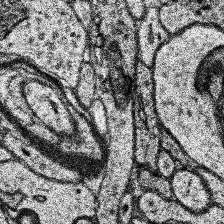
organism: Human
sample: Temporal Lobe